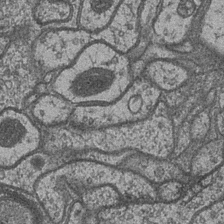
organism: Drosophila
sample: Optic medulla